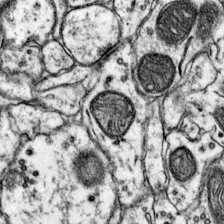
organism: Mouse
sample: Primary visual cortex